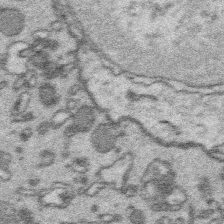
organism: Platynereis dumerilii